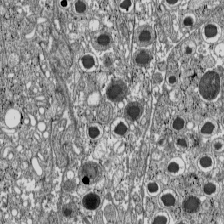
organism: C57BL Mouse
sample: Pancreatic islet